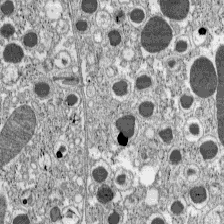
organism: C57BL Mouse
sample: Pancreatic islet